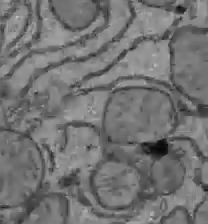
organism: C57BL Mouse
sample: Liver